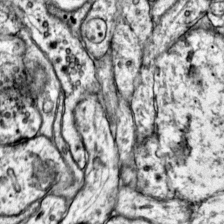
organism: Mouse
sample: Primary visual cortex